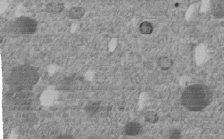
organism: C. elegans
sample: C. elegans embryo early stage